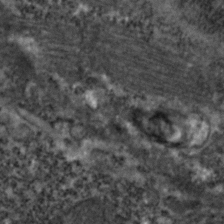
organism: Zebrafish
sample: Zebrafish embryo